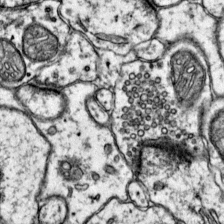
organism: Mouse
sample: Primary visual cortex